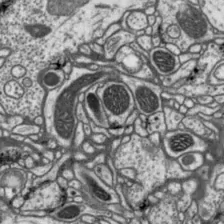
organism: Drosophila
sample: Protocerebral bridge